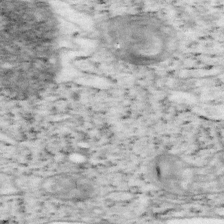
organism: Mouse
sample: OT-I killer T cells with ID8 ovarian cancer cells